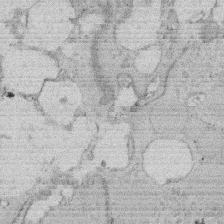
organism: Rat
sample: Salivary granule